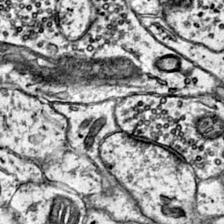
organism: Mouse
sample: Primary visual cortex